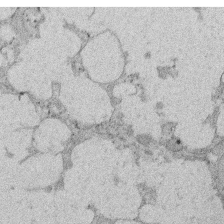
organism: Rat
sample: Salivary granule